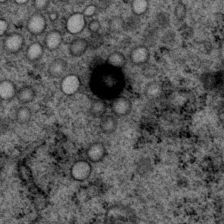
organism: P. pacificus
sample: Pharynx